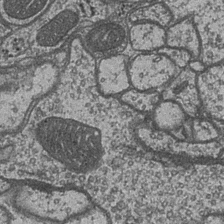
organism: Drosophila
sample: Optic medulla